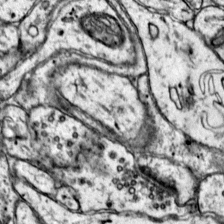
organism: Mouse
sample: Primary visual cortex